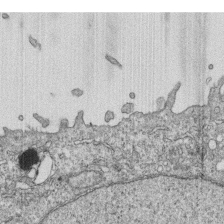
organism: Human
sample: HeLa cell HIV synapse